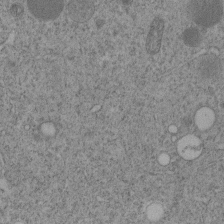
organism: C. elegans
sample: C. elegans embryo early stage